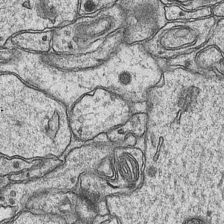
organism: Mouse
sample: CA1 Hippocampus